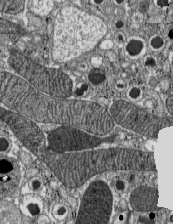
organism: C57BL Mouse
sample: Pancreatic islet